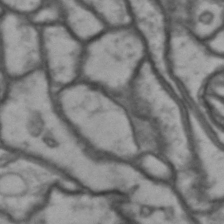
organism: Drosophila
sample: Brain